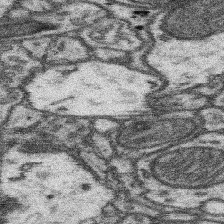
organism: Mouse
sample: Somatosensory cortex neuropil